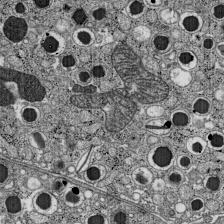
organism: C57BL Mouse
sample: Pancreatic islet